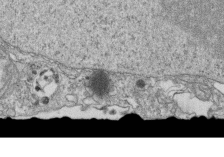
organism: Human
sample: HeLa cell HIV synapse